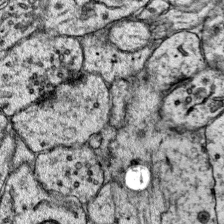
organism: Mouse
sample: Primary visual cortex